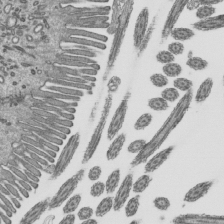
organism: Mouse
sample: Mouse epididymis efferent ductule cilia